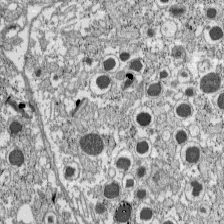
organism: C57BL Mouse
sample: Pancreatic islet